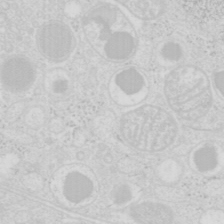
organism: Mouse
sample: Pancreas